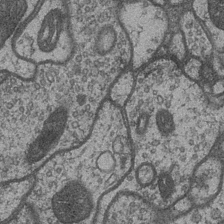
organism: Drosophila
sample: Optic medulla